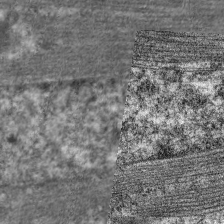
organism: C. elegans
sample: Pharynx